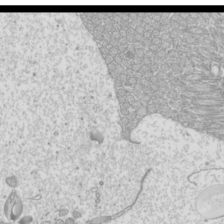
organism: Mouse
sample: Cilia; mouse epididymis